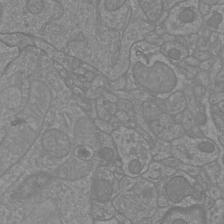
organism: Mouse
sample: Cortical neurons